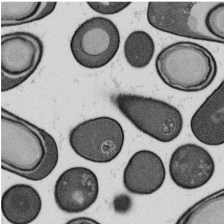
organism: B. subtilis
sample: Bacterial spore